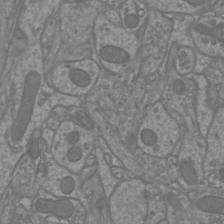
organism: Mouse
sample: Cortical neurons